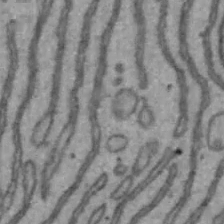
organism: Mouse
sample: Liver